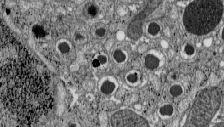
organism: C57BL Mouse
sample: Pancreatic islet